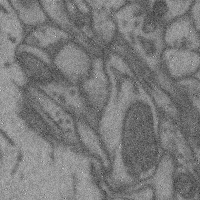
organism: Mouse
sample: Cerebral cortex